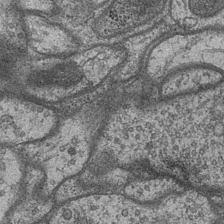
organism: Drosophila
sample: Optic medulla